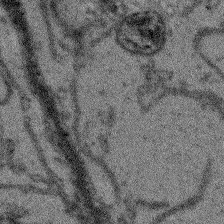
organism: Arabidopsis thaliana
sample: Root tip